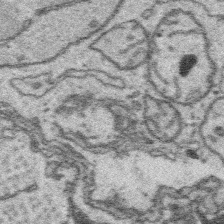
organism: Platynereis dumerilii